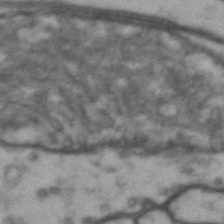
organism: Drosophila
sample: Brain